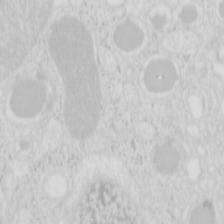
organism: Mouse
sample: Pancreas